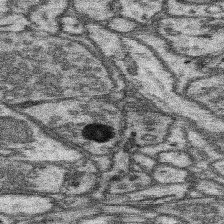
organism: Mouse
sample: Somatosensory cortex neuropil